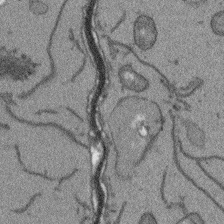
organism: Arabidopsis thaliana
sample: Root tip